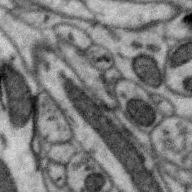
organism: Zebra finch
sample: Brain